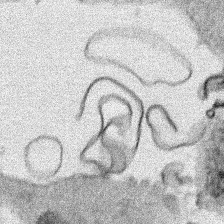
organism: Human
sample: Mitochondria in HCT116 cells